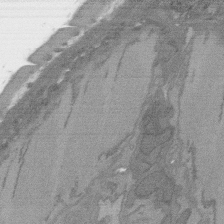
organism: C. elegans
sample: AFD neurons C. elegans